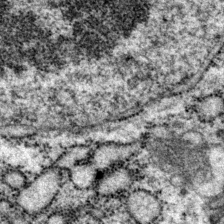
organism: P. pacificus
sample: Pharynx